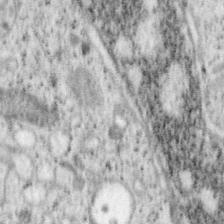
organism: Mouse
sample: OT-I killer T cells with ID8 ovarian cancer cells